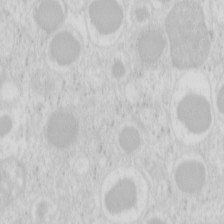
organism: Mouse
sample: Pancreas